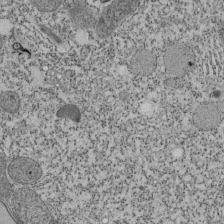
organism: Tetrahymena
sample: Cilia in tetrahymena